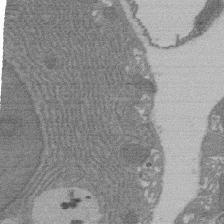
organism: Rat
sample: Salivary granule